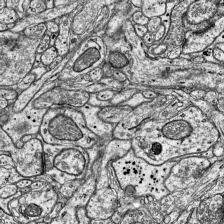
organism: Mouse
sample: Visual Cortex